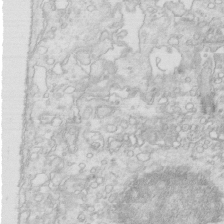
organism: Mouse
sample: Multiciliated cells